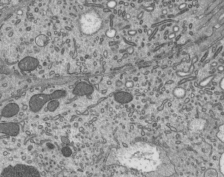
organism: Mouse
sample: Mouse epididymis efferent ductule cilia